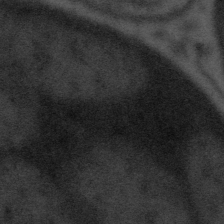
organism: Tuwongella immobilis